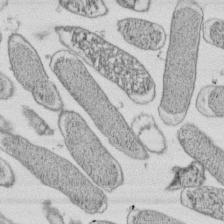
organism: E. coli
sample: Bacterial nucleoid